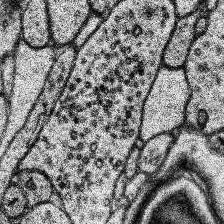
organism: Human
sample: Temporal Lobe